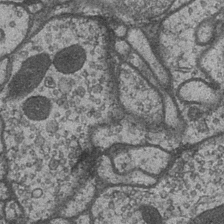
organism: Drosophila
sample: Optic medulla